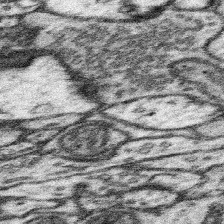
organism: Mouse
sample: Somatosensory cortex neuropil